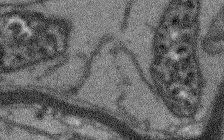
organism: Arabidopsis thaliana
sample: Root tip